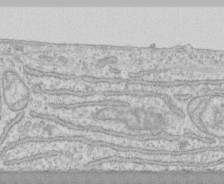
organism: Human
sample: CRL-1474